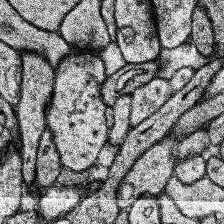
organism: Human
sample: Temporal Lobe